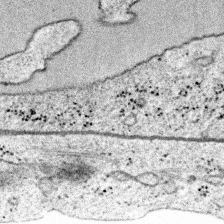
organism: Human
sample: HeLa cells